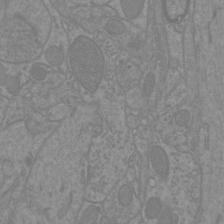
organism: Mouse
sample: Cortical neurons